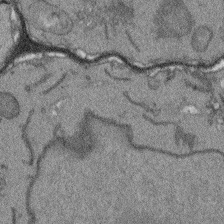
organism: Arabidopsis thaliana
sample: Root tip